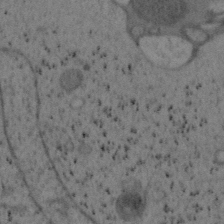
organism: Human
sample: HeLa cells